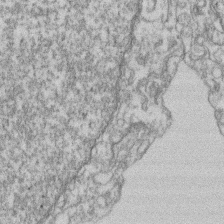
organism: Mouse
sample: T cell stromal cell synapse